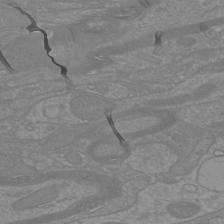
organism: Mouse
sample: Cortical neurons